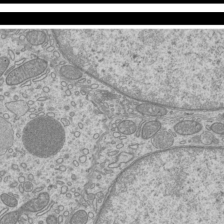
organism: Mouse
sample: Cilia; mouse epididymis